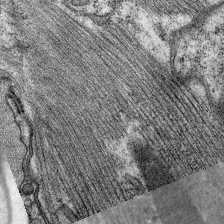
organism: C. elegans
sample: Pharynx